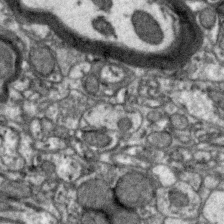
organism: Zebra finch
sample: Brain